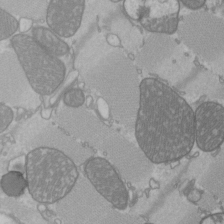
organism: C57BL Mouse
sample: Heart